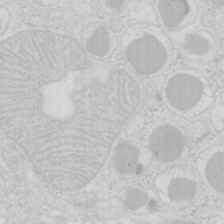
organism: Mouse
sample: Pancreas